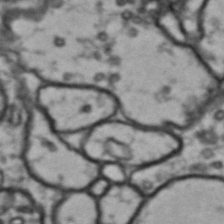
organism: Drosophila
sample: Brain